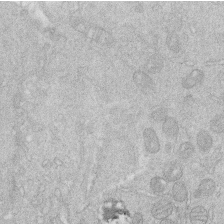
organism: Human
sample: Macrophage cells